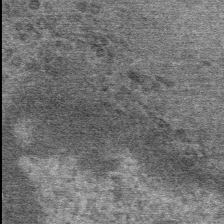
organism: Mouse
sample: Mouse Salivary gland